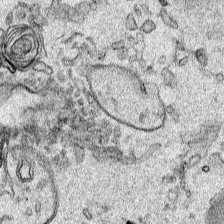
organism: Human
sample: Mitochondria in HCT116 cells